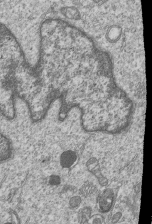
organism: Human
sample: MDA-MB-231 cells